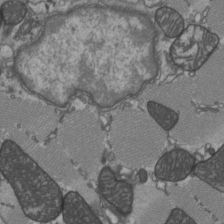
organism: C57BL Mouse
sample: Heart